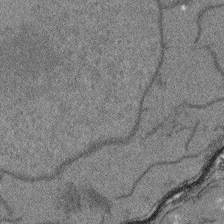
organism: Arabidopsis thaliana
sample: Root tip